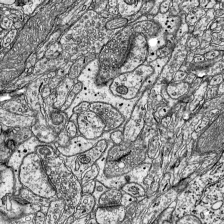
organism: Mouse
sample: Visual Cortex